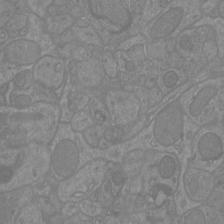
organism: Mouse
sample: Cortical neurons